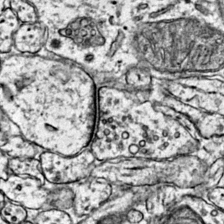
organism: Mouse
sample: Primary visual cortex